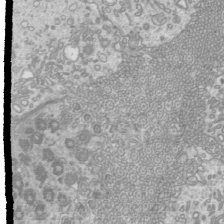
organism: Mouse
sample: Cilia; mouse epididymis